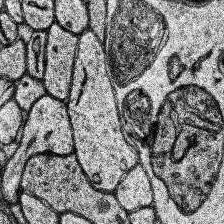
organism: Human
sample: Temporal Lobe